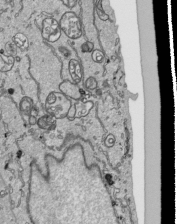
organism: Human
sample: Mitochondria in HCT116 cells